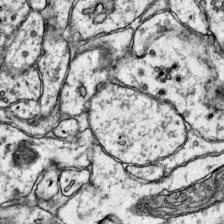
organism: Mouse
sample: Primary visual cortex